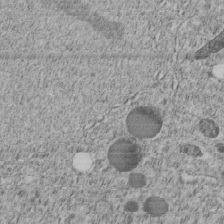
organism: C. elegans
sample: C. elegans embryo early stage